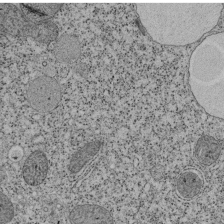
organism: Tetrahymena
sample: Cilia in tetrahymena